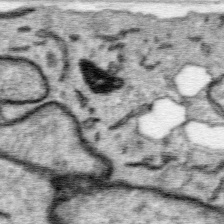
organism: Human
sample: HeLa cells